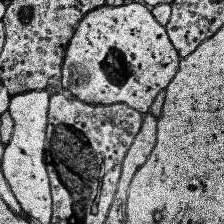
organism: Human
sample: Temporal Lobe